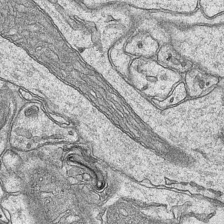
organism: Mouse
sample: CA1 Hippocampus